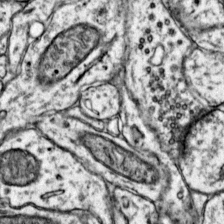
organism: Mouse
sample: Primary visual cortex